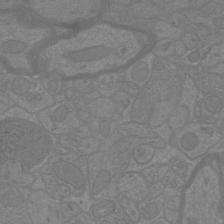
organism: Mouse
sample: Cortical neurons